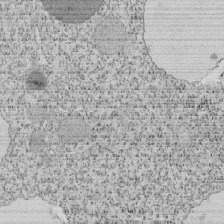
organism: Tetrahymena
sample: Cilia in tetrahymena